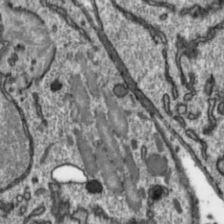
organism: Toxoplasma gondii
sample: Parasites in a vacuole inside a host cell